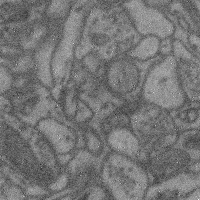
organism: Mouse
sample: Cerebral cortex